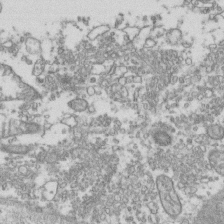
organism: Human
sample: Activated Jurkat CD4+ T cells